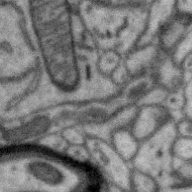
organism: Zebra finch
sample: Brain